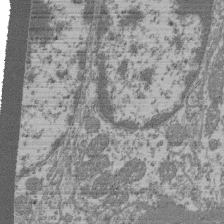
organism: Mouse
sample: Glomerulus